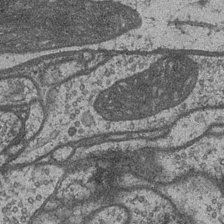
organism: Drosophila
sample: Optic medulla